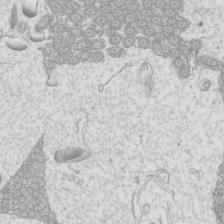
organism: Mouse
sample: Cilia; mouse epididymis